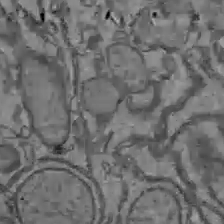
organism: C57BL Mouse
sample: Liver